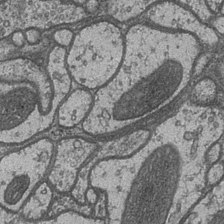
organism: Drosophila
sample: Optic medulla